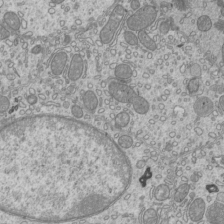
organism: Mouse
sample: Cilia; mouse epididymis